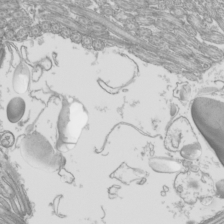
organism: Mouse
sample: Cilia; mouse epididymis